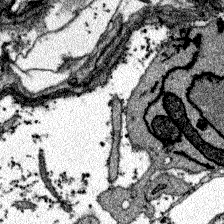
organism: Zebrafish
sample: Larval olfactory bulb